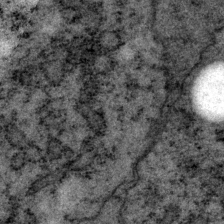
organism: P. pacificus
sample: Pharynx